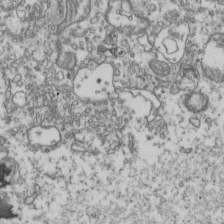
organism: Human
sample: Activated Jurkat CD4+ T cells